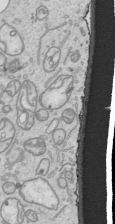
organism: Human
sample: Mitochondria in HCT116 cells